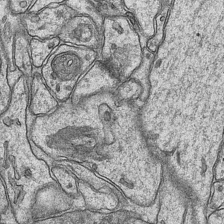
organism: Mouse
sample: CA1 Hippocampus